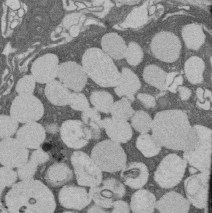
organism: Rat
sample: Salivary granule